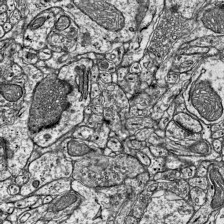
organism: Mouse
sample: Visual Cortex